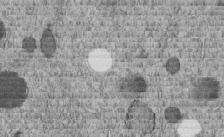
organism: C. elegans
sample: C. elegans embryo early stage